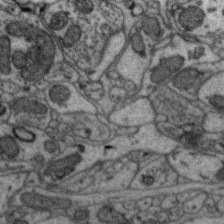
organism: Zebra finch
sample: Brain